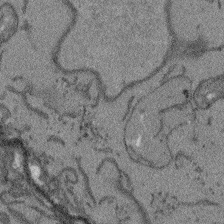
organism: Arabidopsis thaliana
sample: Root tip